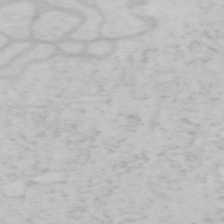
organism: Mouse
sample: OT-I killer T cells with ID8 ovarian cancer cells